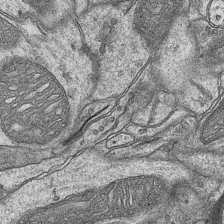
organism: Mouse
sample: CA1 Hippocampus